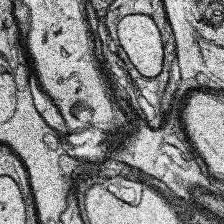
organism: Human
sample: Temporal Lobe